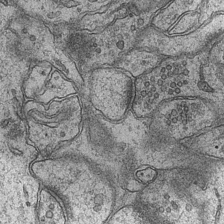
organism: Mouse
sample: CA1 Hippocampus